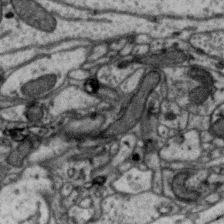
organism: Zebra finch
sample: Brain